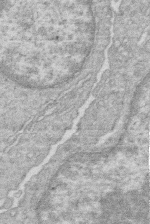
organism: Human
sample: Macrophage cells